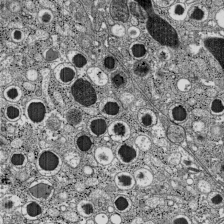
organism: C57BL Mouse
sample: Pancreatic islet